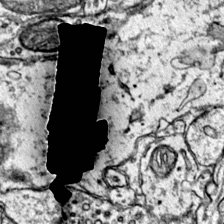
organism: Mouse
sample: Primary visual cortex